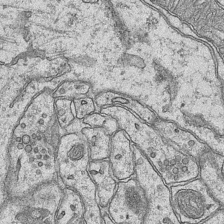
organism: Mouse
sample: CA1 Hippocampus